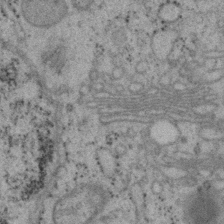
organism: Human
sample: HeLa cells